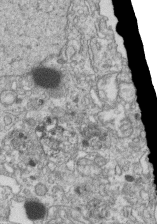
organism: Human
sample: HeLa cell HIV synapse